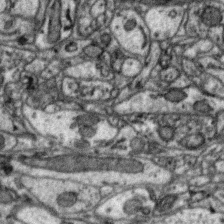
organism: Zebra finch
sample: Brain